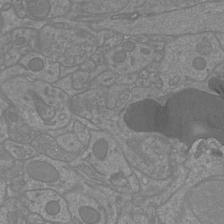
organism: Mouse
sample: Cortical neurons